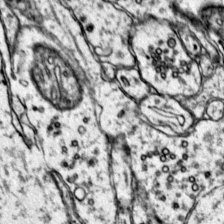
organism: Mouse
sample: Primary visual cortex